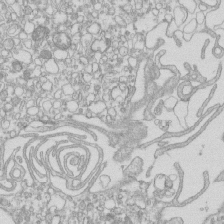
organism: Mouse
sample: Macrophages